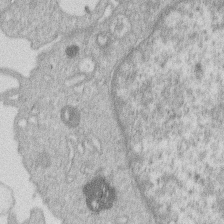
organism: Human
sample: Macrophage cells